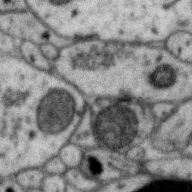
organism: Zebra finch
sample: Brain